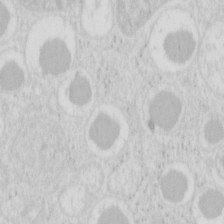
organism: Mouse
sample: Pancreas